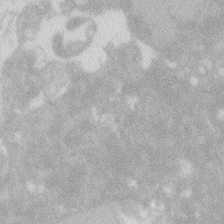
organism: Zebrafish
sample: Macrophage